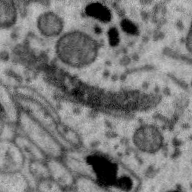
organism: Zebra finch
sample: Brain